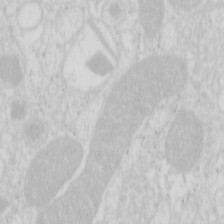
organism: Mouse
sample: Pancreas